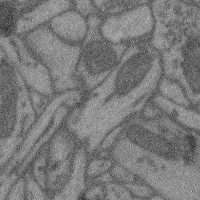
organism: Mouse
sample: Cerebral cortex